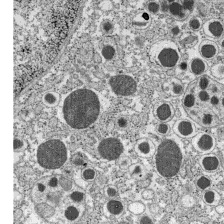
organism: C57BL Mouse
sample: Pancreatic islet